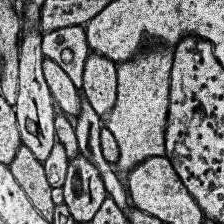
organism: Human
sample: Temporal Lobe